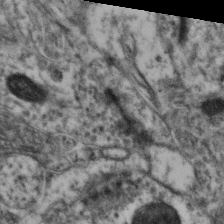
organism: Mouse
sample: Neocortex